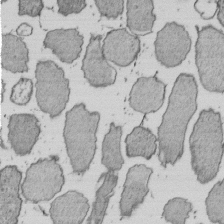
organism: E. coli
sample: Bacterial nucleoid